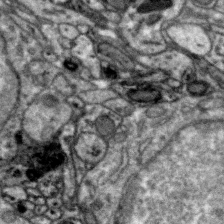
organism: Zebra finch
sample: Brain